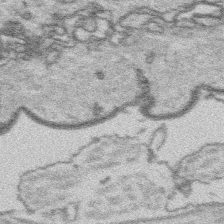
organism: Platynereis dumerilii